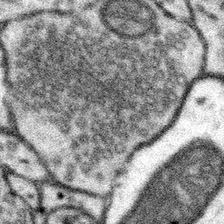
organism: Mouse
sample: Somatosensory cortex neuropil